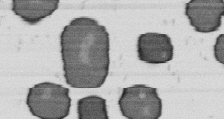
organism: B. subtilis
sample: Bacterial spore